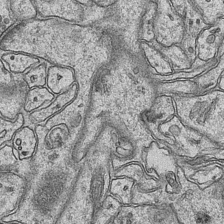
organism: Mouse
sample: CA1 Hippocampus